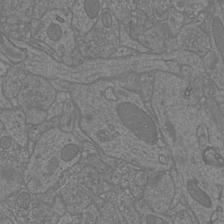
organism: Mouse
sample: Cortical neurons